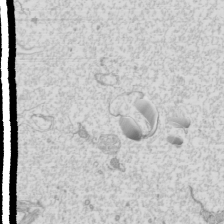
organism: Mouse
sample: Cilia; mouse epididymis